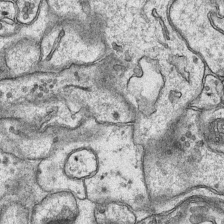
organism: Mouse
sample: CA1 Hippocampus